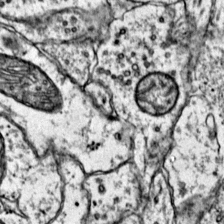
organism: Mouse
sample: Primary visual cortex